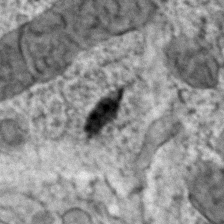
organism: Zebrafish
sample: Zebrafish embryo